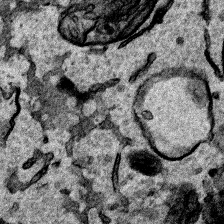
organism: Human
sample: Mitochondria in HCT116 cells